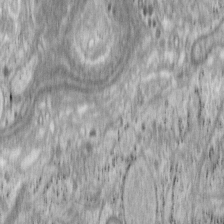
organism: Human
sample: HeLa cells